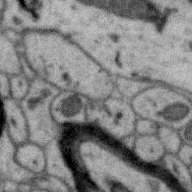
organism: Zebra finch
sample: Brain